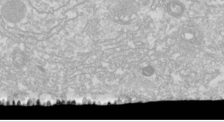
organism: Drosophila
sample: Cell division; meiosis; drosophila spermatocytes